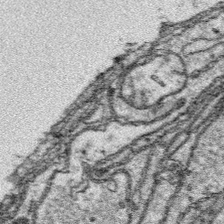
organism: Platynereis dumerilii